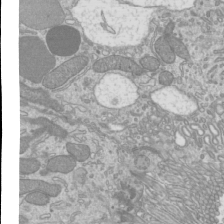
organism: Mouse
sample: Cilia; mouse epididymis